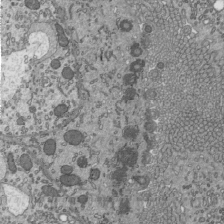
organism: Mouse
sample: Mouse epididymis efferent ductule cilia